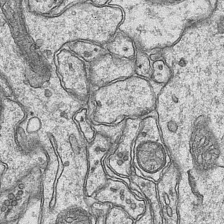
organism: Mouse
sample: CA1 Hippocampus